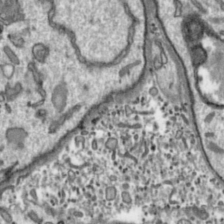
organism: Toxoplasma gondii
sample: Parasites in a vacuole inside a host cell